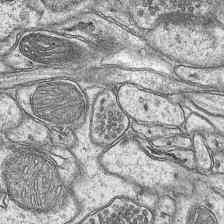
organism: Mouse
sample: CA1 Hippocampus